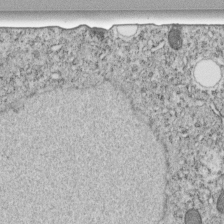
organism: C. elegans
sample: C. elegans embryo early stage